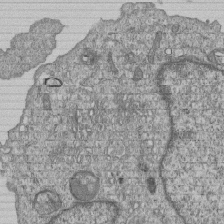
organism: Human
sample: MDA-MB-231 cells